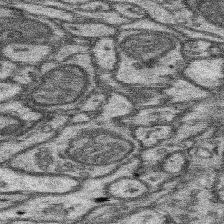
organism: Mouse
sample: Somatosensory cortex neuropil